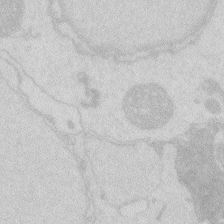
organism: Zebrafish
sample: Macrophage